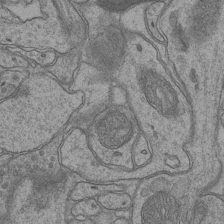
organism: Mouse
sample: CA1 Hippocampus